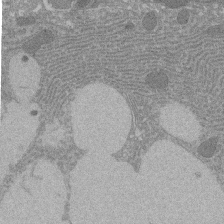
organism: Rat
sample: Salivary granule